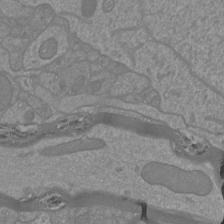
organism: Mouse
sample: Cortical neurons